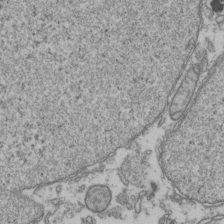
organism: Human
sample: Activated Jurkat CD4+ T cells